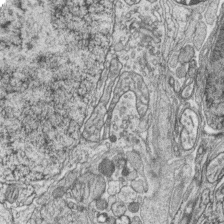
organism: Zebrafish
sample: synaptic ribbons in rod cells and cone cells